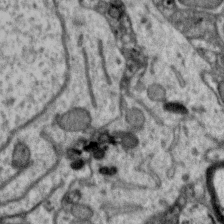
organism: Zebra finch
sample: Brain